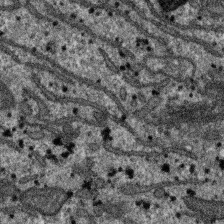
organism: Human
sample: Lung epithelial cells infected with SARS-CoV-2